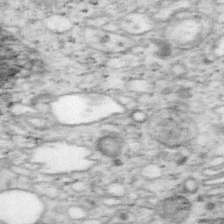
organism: Mouse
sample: OT-I killer T cells with ID8 ovarian cancer cells